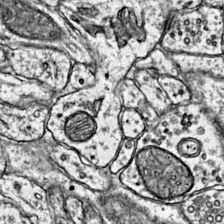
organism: Mouse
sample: Primary visual cortex